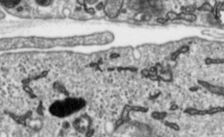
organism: Toxoplasma gondii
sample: Parasites in a vacuole inside a host cell